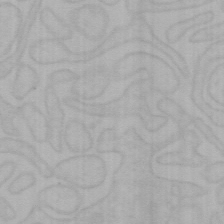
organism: Mouse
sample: Choroid plexus